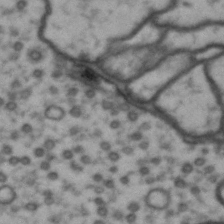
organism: Drosophila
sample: Brain